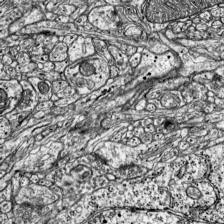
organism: Mouse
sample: Visual Cortex